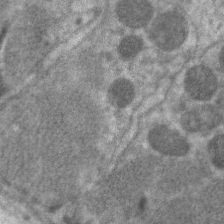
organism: C. elegans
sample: Pharynx